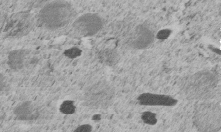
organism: C. elegans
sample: C. elegans embryo early stage